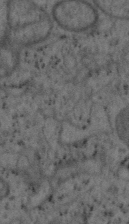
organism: Human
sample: HeLa cells